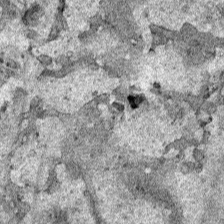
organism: Human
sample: Mitochondria in HCT116 cells